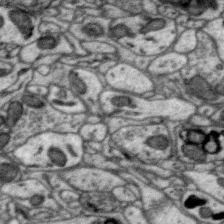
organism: Zebra finch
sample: Brain